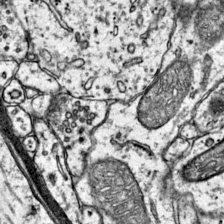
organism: Mouse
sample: Primary visual cortex